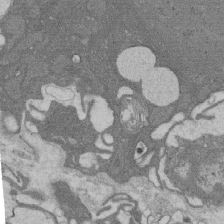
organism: Rat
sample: Salivary granule